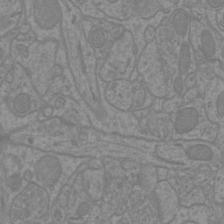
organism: Mouse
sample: Cortical neurons